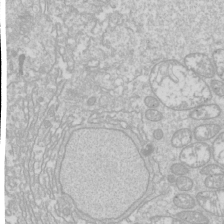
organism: Drosophila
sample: Cell division; meiosis; drosophila spermatocytes